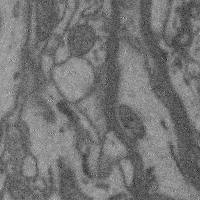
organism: Mouse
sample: Cerebral cortex